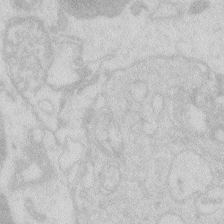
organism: Zebrafish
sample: Macrophage